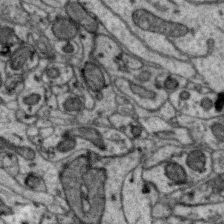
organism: Zebra finch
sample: Brain